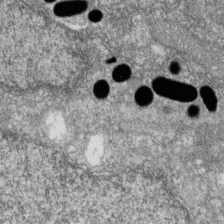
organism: Zebrafish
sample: Cilia; retinal pigment epithelium